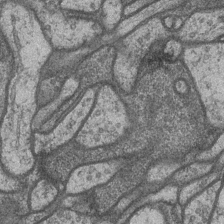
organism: Drosophila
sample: Optic medulla